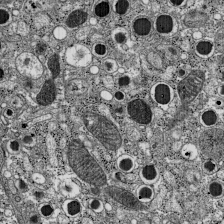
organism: C57BL Mouse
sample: Pancreatic islet